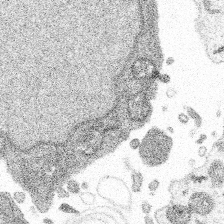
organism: Spongilla lacustris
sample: Multiple